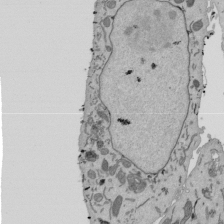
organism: Mouse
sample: ED-1 cell nuclei; centrioles